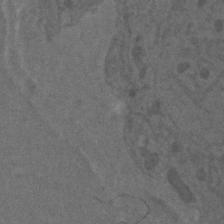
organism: C. elegans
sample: C. elegans embryo